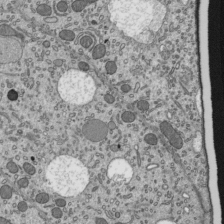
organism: Mouse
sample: Mouse epididymis efferent ductule cilia